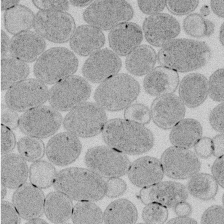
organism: E. coli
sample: Bacterial nucleoid